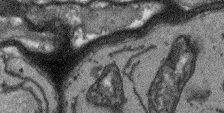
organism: Arabidopsis thaliana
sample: Root tip